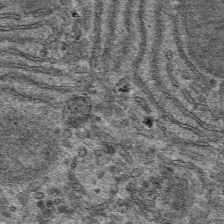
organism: Mouse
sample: Mouse hepatocytes